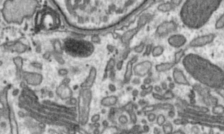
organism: Toxoplasma gondii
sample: Parasites in a vacuole inside a host cell